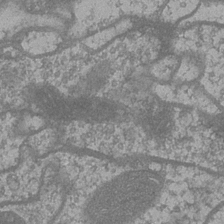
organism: Drosophila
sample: Optic medulla